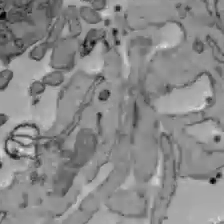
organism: C57BL Mouse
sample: Liver